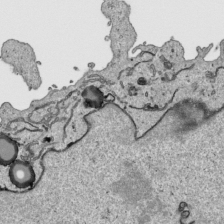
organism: Human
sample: Mitochondria in HCT116 cells